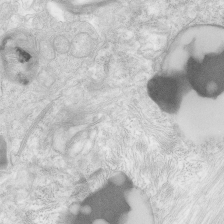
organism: Human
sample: Neocortex